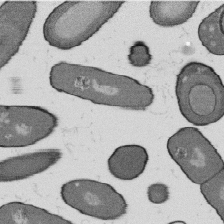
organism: B. subtilis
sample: Bacterial spore